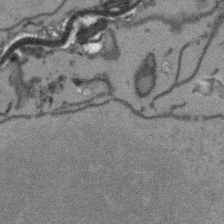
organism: Arabidopsis thaliana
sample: Root tip